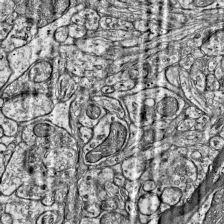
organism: Mouse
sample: Visual Cortex